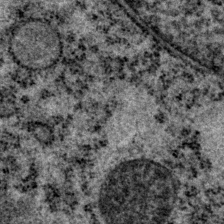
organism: P. pacificus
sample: Pharynx